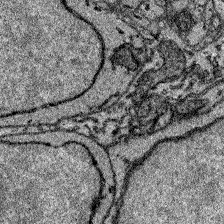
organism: Zebrafish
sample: Larval olfactory bulb